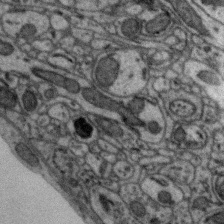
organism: Zebra finch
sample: Brain